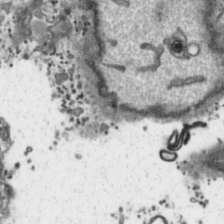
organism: Toxoplasma gondii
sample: Parasites in a vacuole inside a host cell